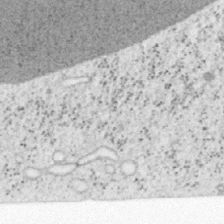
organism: Mouse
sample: OT-I killer T cells with ID8 ovarian cancer cells